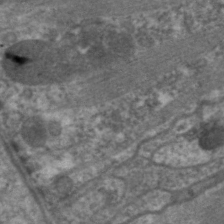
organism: C. elegans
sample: Pharynx